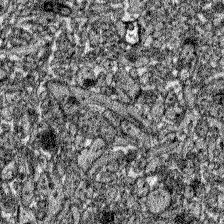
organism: Zebrafish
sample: Larval olfactory bulb